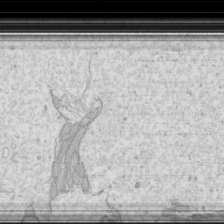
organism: Mouse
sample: Cilia; mouse epididymis